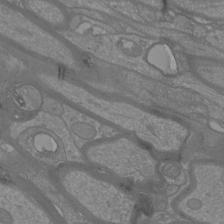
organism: Mouse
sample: Cortical neurons